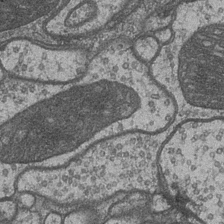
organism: Drosophila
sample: Optic medulla